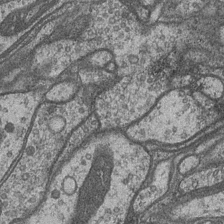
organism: Drosophila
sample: Optic medulla